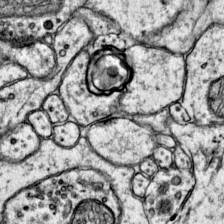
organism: Mouse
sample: Primary visual cortex